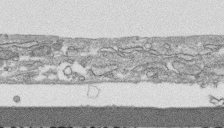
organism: Human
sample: CRL-1474